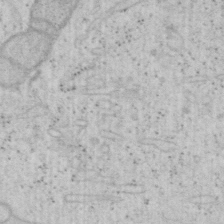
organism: Human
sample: HeLa cells